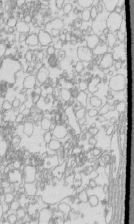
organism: Mouse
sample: Macrophages